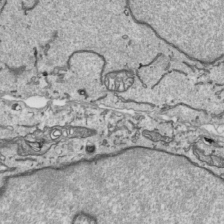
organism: Human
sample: Mitochondria in HCT116 cells